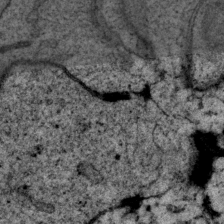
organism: P. pacificus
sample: Pharynx